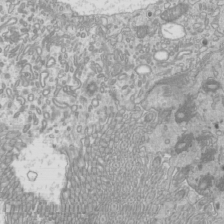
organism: Mouse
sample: Cilia; mouse epididymis